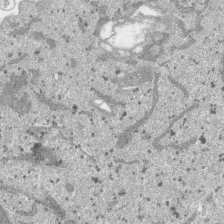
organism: Human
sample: Lung epithelial cells infected with SARS-CoV-2